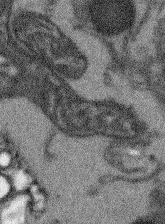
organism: Arabidopsis thaliana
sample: Root tip